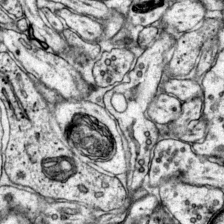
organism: Mouse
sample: Primary visual cortex